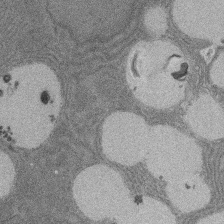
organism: Rat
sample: Salivary granule